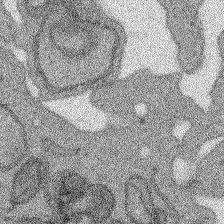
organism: Human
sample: HeLa cells